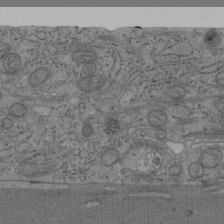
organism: Human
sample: HeLa cells